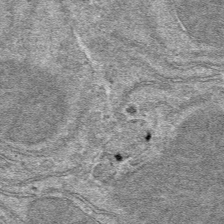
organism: Mouse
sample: Mouse hepatocytes